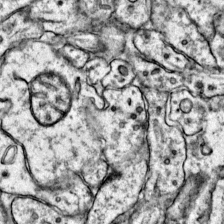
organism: Mouse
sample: Primary visual cortex